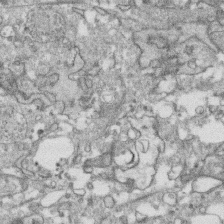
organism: Human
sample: CRL-1474